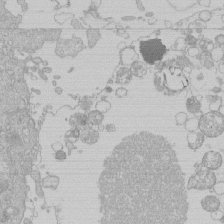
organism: Human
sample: Macrophage cells